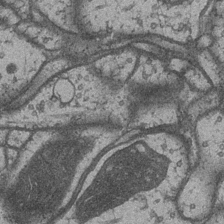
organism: Drosophila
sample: Optic medulla